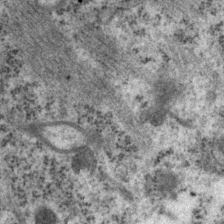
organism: P. pacificus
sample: Pharynx